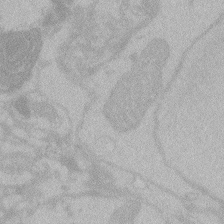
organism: Zebrafish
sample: Macrophage infected with Toxoplasma gondii